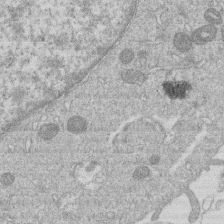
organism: Human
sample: Macrophage cells